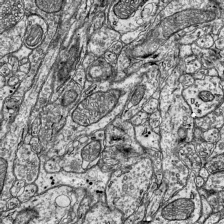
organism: Mouse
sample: Visual Cortex